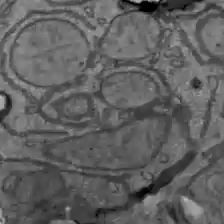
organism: C57BL Mouse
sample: Liver